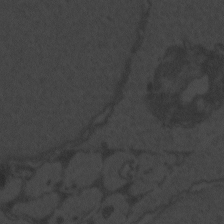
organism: Zebrafish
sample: Macrophage infected with Toxoplasma gondii